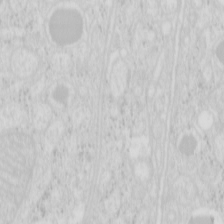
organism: Mouse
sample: Pancreas